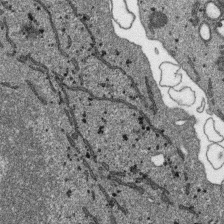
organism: Human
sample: Lung epithelial cells infected with SARS-CoV-2